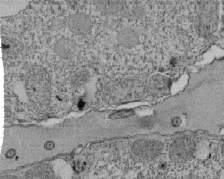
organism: Tetrahymena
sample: Cilia in tetrahymena